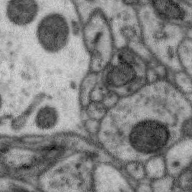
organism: Zebra finch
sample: Brain